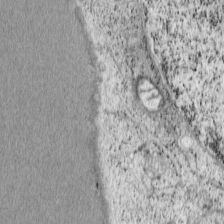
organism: African green monkey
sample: COS-7 cells